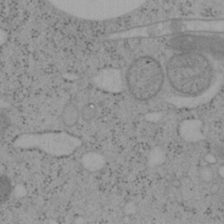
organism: Mouse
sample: OT-I killer T cells with ID8 ovarian cancer cells